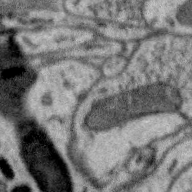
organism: Zebra finch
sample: Brain